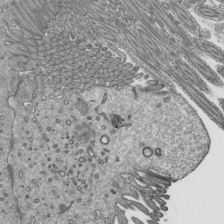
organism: Mouse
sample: Mouse epididymis efferent ductule cilia